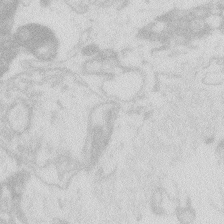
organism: Zebrafish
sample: Macrophage